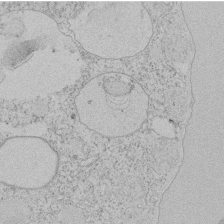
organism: Tetrahymena